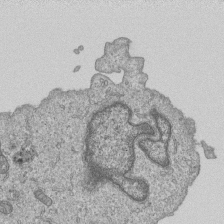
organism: Human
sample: MDA-MB-231 cells